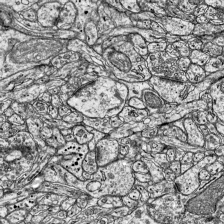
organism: Mouse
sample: Visual Cortex